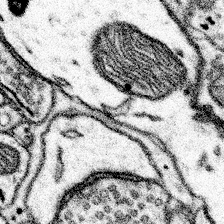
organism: Mouse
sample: Somatosensory cortex neuropil